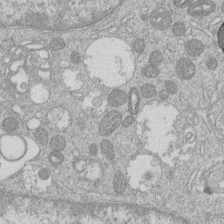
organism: Human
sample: Macrophage cells